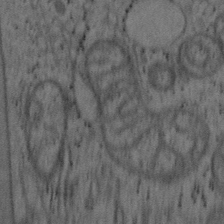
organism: Human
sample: HeLa cells